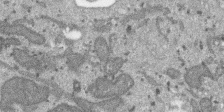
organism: Human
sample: Lung epithelial cells infected with SARS-CoV-2